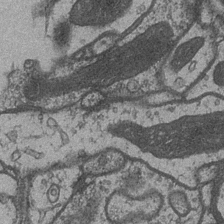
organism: Drosophila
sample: Optic medulla